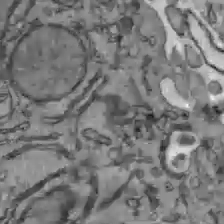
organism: C57BL Mouse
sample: Liver